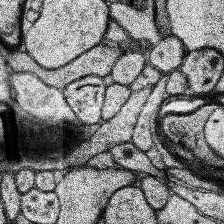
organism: Human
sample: Temporal Lobe